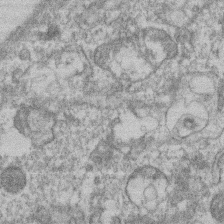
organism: Mouse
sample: T cell stromal cell synapse